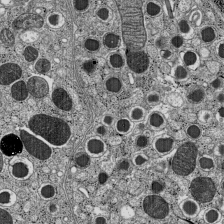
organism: C57BL Mouse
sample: Pancreatic islet